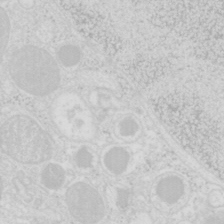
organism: Mouse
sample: Pancreas